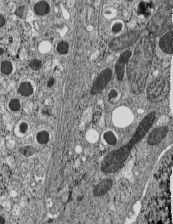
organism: C57BL Mouse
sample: Pancreatic islet